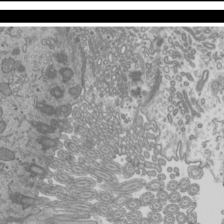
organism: Mouse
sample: Cilia; mouse epididymis